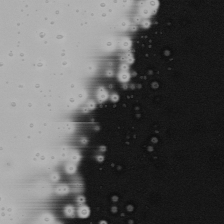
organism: Mouse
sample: Cancer cell death in ED-1 cells